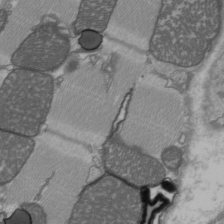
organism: C57BL Mouse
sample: Heart